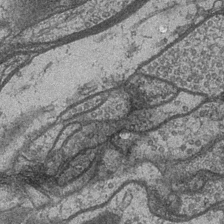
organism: Drosophila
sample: Optic medulla